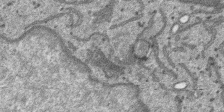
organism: Human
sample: Lung epithelial cells infected with SARS-CoV-2